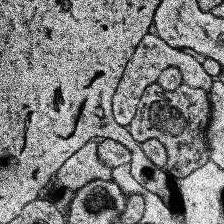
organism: Human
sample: Temporal Lobe